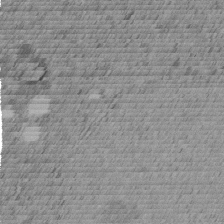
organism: C. elegans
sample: C. elegans embryo early stage